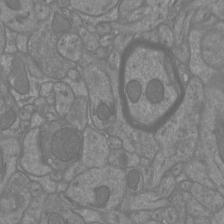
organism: Mouse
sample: Cortical neurons